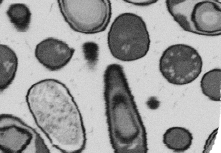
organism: B. subtilis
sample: Bacterial spore